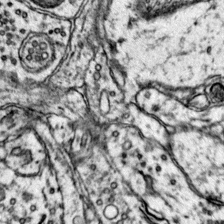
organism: Mouse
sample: Primary visual cortex